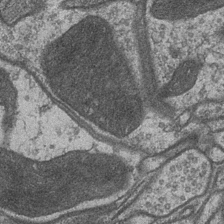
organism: Drosophila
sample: Optic medulla